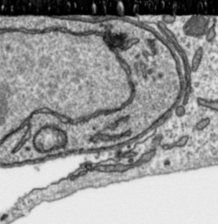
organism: Toxoplasma gondii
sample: Parasites in a vacuole inside a host cell